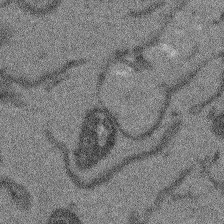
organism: Arabidopsis thaliana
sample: Root tip